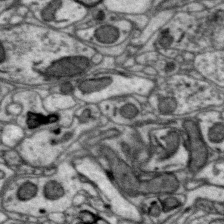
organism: Zebra finch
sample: Brain